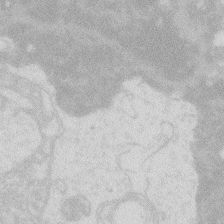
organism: Zebrafish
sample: Macrophage